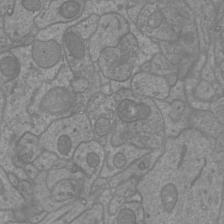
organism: Mouse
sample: Cortical neurons